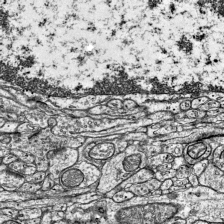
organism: Mouse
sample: Visual Cortex